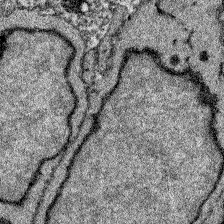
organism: Zebrafish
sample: Larval olfactory bulb